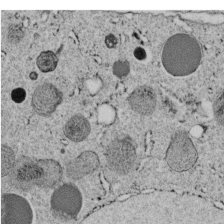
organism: C. elegans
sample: C. elegans embryo early stage